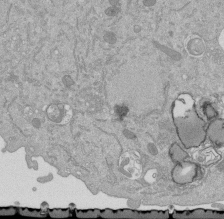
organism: Mouse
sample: ED-1 cell nuclei; centrioles